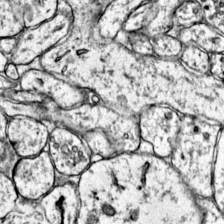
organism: Mouse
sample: Primary visual cortex